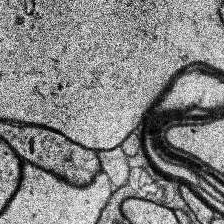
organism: Human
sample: Temporal Lobe